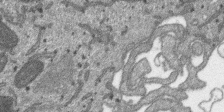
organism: Human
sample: Lung epithelial cells infected with SARS-CoV-2